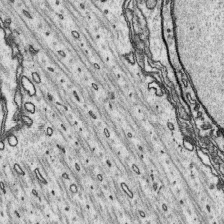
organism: Platynereis dumerilii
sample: Parapodia